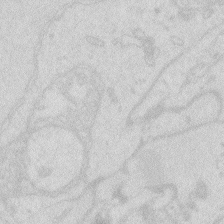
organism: Zebrafish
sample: Macrophage